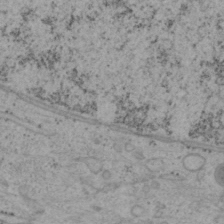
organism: Human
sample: HeLa cells